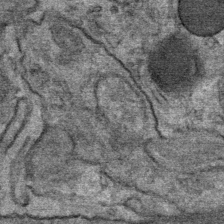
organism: Mouse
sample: Mouse Salivary gland